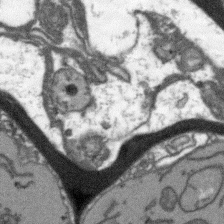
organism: Arabidopsis thaliana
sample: Root tip